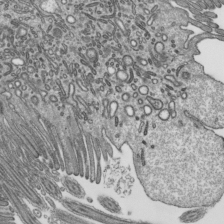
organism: Mouse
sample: Mouse epididymis efferent ductule cilia